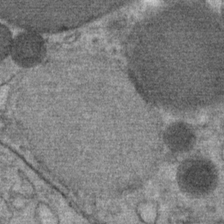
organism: Mouse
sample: Mouse Salivary gland